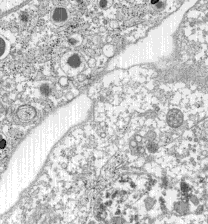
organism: C57BL Mouse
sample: Pancreatic islet